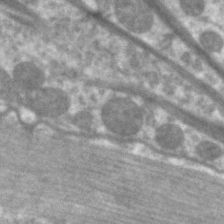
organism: C. elegans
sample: Pharynx